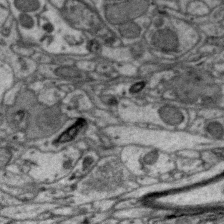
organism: Zebra finch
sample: Brain